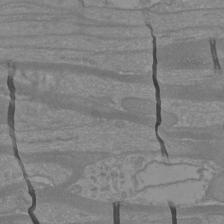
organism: Mouse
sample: Cortical neurons